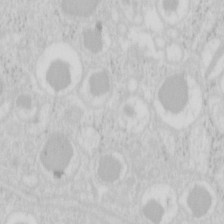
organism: Mouse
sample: Pancreas